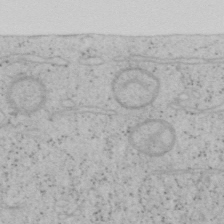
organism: Human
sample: HeLa cells